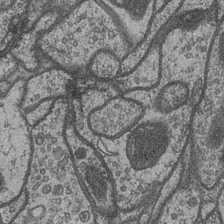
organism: Drosophila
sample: Optic medulla